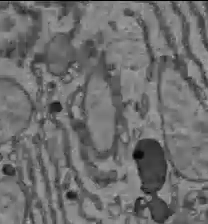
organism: C57BL Mouse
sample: Liver